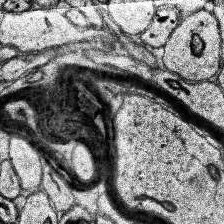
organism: Human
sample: Temporal Lobe